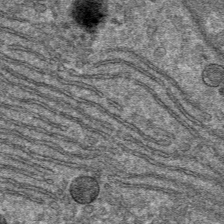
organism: Mouse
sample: Mouse hepatocytes